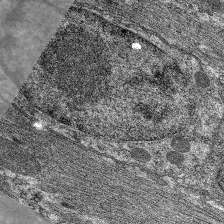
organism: C. elegans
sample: Pharynx